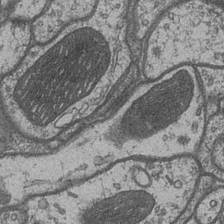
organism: Drosophila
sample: Optic medulla